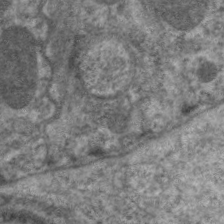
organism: C. elegans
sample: Pharynx